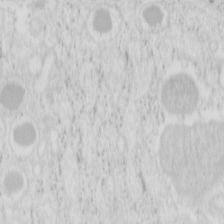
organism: Mouse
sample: Pancreas